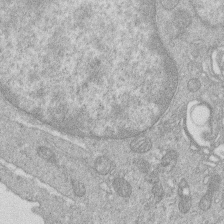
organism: Human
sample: Macrophage cells